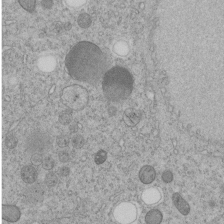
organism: C. elegans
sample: C. elegans embryo early stage